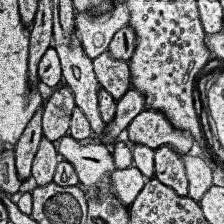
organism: Human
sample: Temporal Lobe